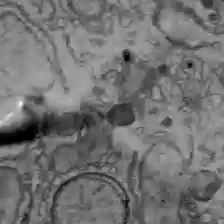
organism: C57BL Mouse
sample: Liver